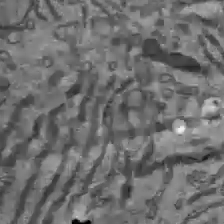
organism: C57BL Mouse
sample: Liver